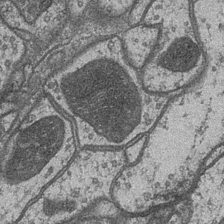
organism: Drosophila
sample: Optic medulla